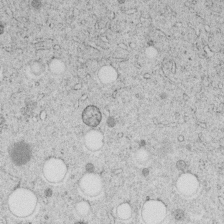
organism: C. elegans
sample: C. elegans embryo early stage